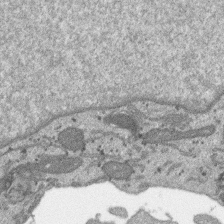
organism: Human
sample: Lung epithelial cells infected with SARS-CoV-2